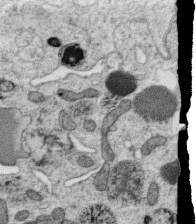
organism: C. elegans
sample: C. elegans oocyte; sperm cells